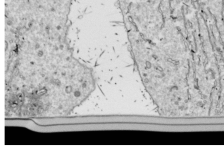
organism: Drosophila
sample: Cell division; meiosis; drosophila spermatocytes